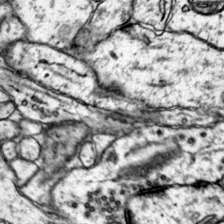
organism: Mouse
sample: Primary visual cortex